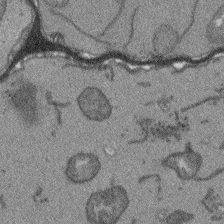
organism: Arabidopsis thaliana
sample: Root tip